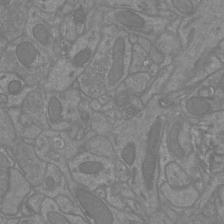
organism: Mouse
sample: Cortical neurons